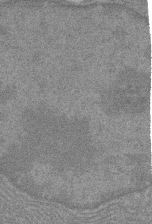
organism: Rat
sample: Salivary granule